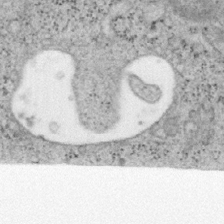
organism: Mouse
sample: OT-I killer T cells with ID8 ovarian cancer cells